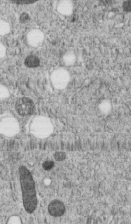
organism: C. elegans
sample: C. elegans embryo early stage